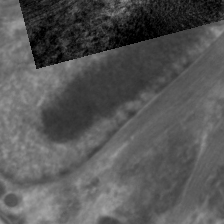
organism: C. elegans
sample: Pharynx